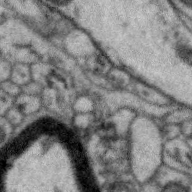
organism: Zebra finch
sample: Brain